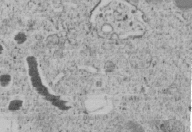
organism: C. elegans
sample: C. elegans embryo early stage